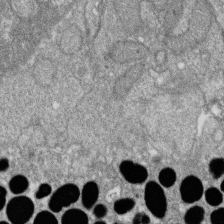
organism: Zebrafish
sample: Cilia; retinal pigment epithelium